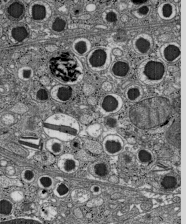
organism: C57BL Mouse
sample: Pancreatic islet